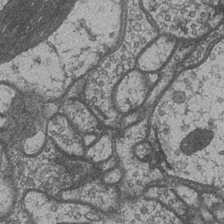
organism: Drosophila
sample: Optic medulla